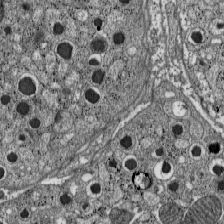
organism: C57BL Mouse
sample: Pancreatic islet